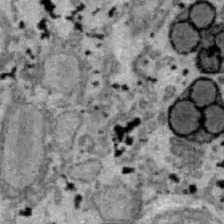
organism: Mouse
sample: Liver from an obese (ob/ob) mouse